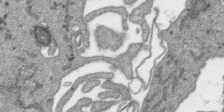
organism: Human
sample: Lung epithelial cells infected with SARS-CoV-2